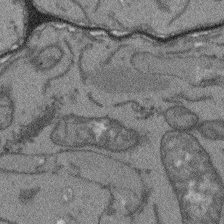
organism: Arabidopsis thaliana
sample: Root tip